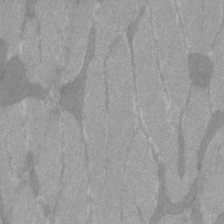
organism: C57BL Mouse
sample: Tibialis anterior muscle cell